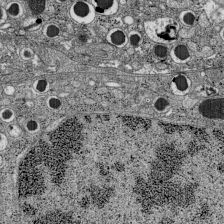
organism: C57BL Mouse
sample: Pancreatic islet